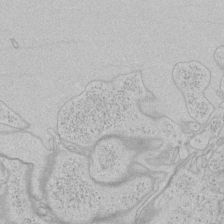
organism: Human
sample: Mitochondria in HCT116 cells